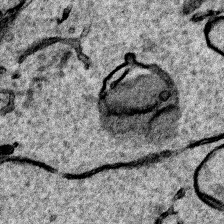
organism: Human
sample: Mitochondria in HCT116 cells